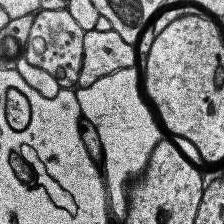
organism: Human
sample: Temporal Lobe